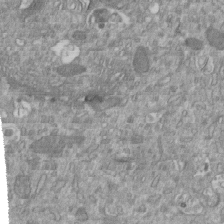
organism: Mouse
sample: ED-1 cell nuclei; centrioles